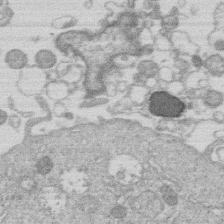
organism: Human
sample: Macrophage cells